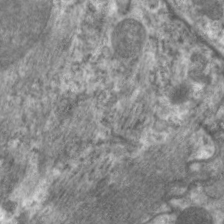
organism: C. elegans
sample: Pharynx